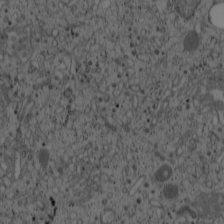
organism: African green monkey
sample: COS-7 cells